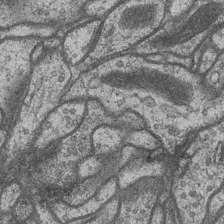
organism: Drosophila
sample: Optic medulla